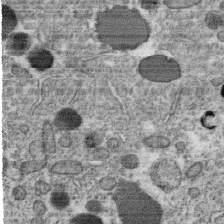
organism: C. elegans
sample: C. elegans oocyte; sperm cells